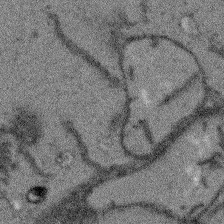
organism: Arabidopsis thaliana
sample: Root tip